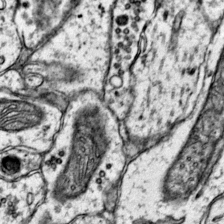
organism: Mouse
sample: Primary visual cortex